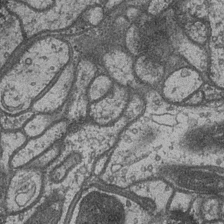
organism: Drosophila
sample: Optic medulla